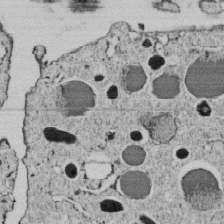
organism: C. elegans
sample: C. elegans embryo early stage